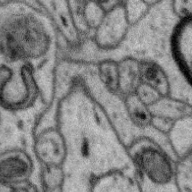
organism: Zebra finch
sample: Brain